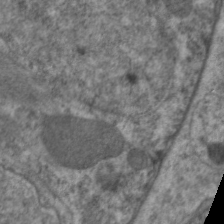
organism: C. elegans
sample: Pharynx